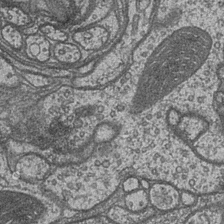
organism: Drosophila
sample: Optic medulla